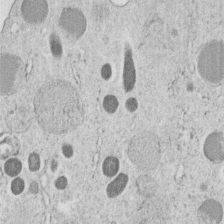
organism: C. elegans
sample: C. elegans embryo early stage